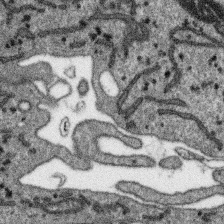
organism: Human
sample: Lung epithelial cells infected with SARS-CoV-2